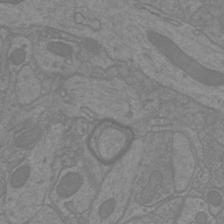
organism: Mouse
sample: Cortical neurons